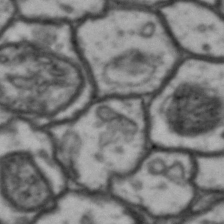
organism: Drosophila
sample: Brain